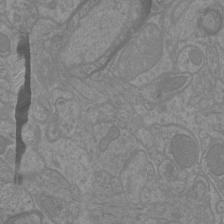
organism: Mouse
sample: Cortical neurons